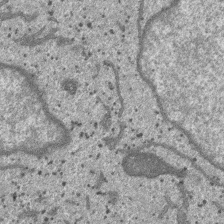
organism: Human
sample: Lung epithelial cells infected with SARS-CoV-2